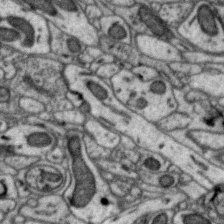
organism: Zebra finch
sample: Brain